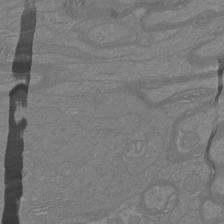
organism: Mouse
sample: Cortical neurons